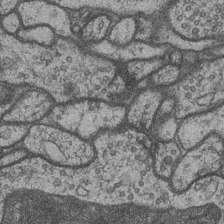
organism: Drosophila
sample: Optic medulla